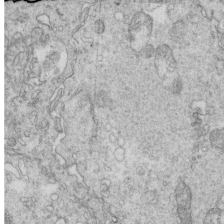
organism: Mouse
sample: Multiciliated cells